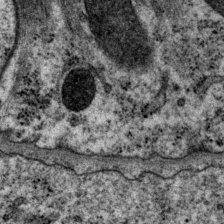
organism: P. pacificus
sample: Pharynx